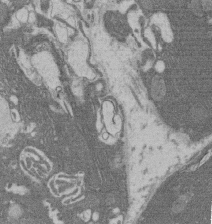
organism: Rat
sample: Salivary granule